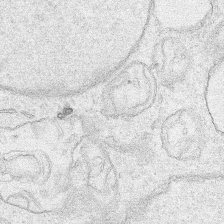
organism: Human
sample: Mitochondria in HCT116 cells